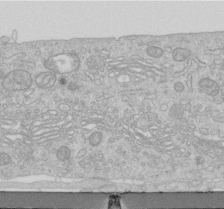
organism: Human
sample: Centriole in RPE cells